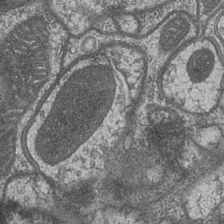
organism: Drosophila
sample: Optic medulla